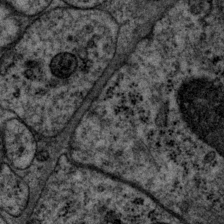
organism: P. pacificus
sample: Pharynx